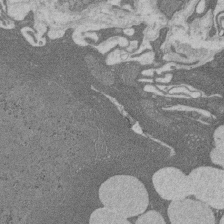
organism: Rat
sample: Salivary granule